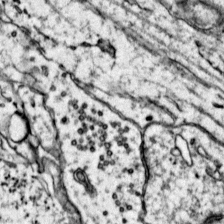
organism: Mouse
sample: Primary visual cortex